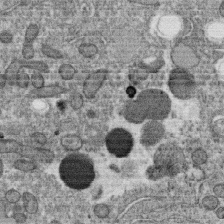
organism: C. elegans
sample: C. elegans oocyte; sperm cells